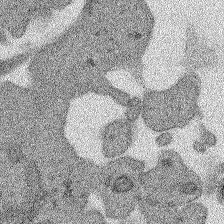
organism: Human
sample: HeLa cells